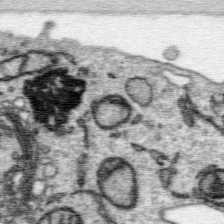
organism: Human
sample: HeLa cells